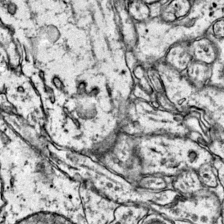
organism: Mouse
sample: Primary visual cortex